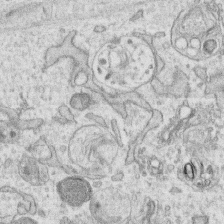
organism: Human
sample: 1205lu cells